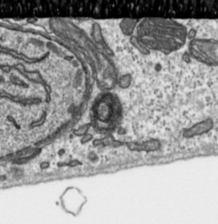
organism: Toxoplasma gondii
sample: Parasites in a vacuole inside a host cell